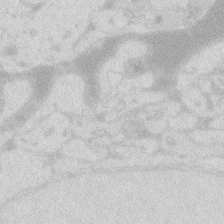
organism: Zebrafish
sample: Macrophage